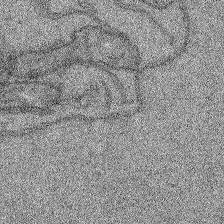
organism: Human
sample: HeLa cells